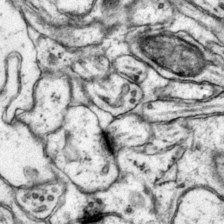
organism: Mouse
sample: Primary visual cortex